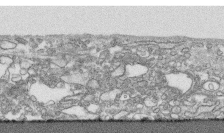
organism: Human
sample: CRL-1474